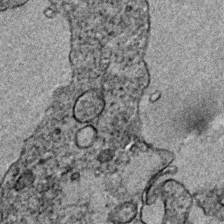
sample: Trachea